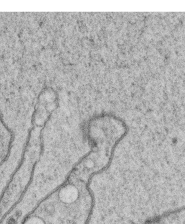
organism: C. elegans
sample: C. elegans oocyte; sperm cells